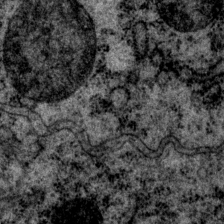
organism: P. pacificus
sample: Pharynx